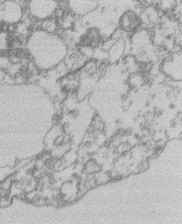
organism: Mouse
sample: T cell stromal cell synapse